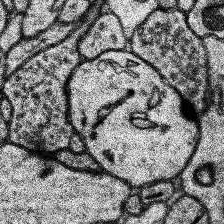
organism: Human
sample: Temporal Lobe